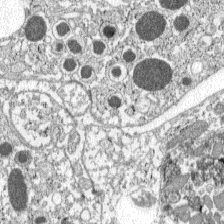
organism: C57BL Mouse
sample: Pancreatic islet